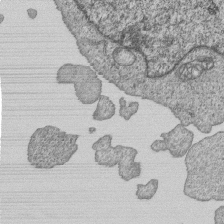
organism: Human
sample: MDA-MB-231 cells